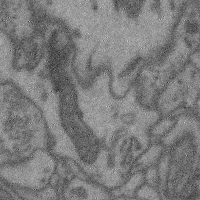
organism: Mouse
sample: Cerebral cortex